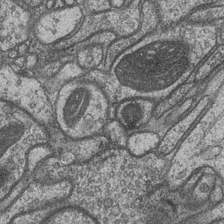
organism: Drosophila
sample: Optic medulla